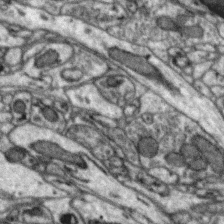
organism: Zebra finch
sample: Brain